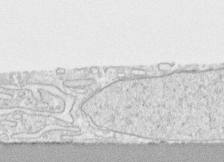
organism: Human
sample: CRL-1474